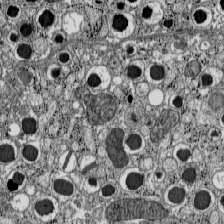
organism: C57BL Mouse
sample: Pancreatic islet